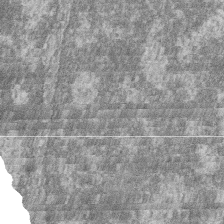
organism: Zebrafish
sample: Cilia; retinal pigment epithelium